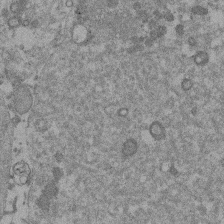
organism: Mouse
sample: Dividing mouse embryo 1 cell stage